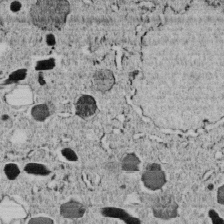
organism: C. elegans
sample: C. elegans embryo early stage